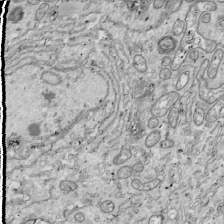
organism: Drosophila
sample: Cell division; meiosis; drosophila spermatocytes